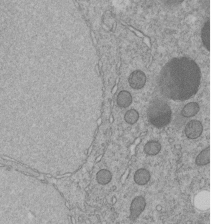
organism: C. elegans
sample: C. elegans embryo early stage